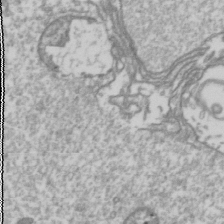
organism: Drosophila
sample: Cell division; meiosis; drosophila spermatocytes